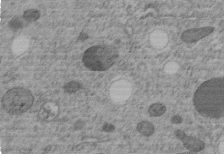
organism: C. elegans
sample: C. elegans embryo early stage